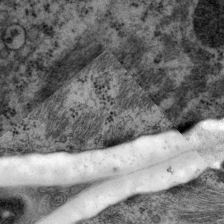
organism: P. pacificus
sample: Pharynx